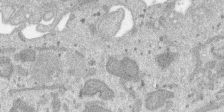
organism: Human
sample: Lung epithelial cells infected with SARS-CoV-2